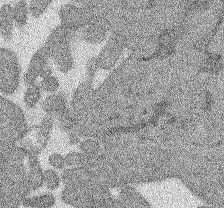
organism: Human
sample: HeLa cells